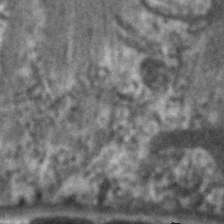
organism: C. elegans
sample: Pharynx